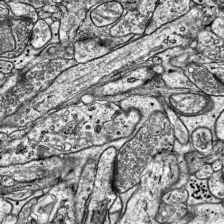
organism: Mouse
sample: Visual Cortex